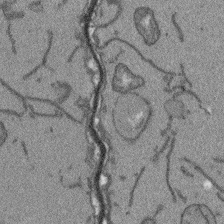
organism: Arabidopsis thaliana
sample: Root tip